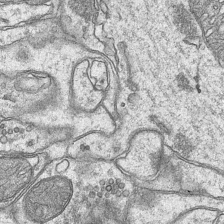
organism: Mouse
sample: CA1 Hippocampus